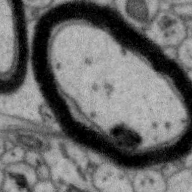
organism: Zebra finch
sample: Brain